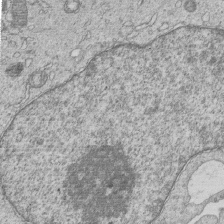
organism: Human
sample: MDA-MB-231 cells